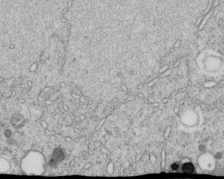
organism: C. elegans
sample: C. elegans embryo early stage